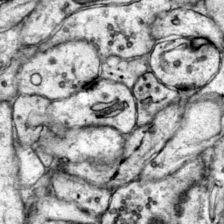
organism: Mouse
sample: Primary visual cortex